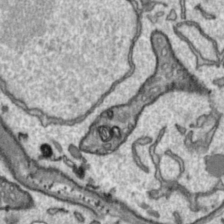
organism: Toxoplasma gondii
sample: Parasites in a vacuole inside a host cell